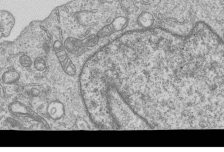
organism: Human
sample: MDA-MB-231 cells